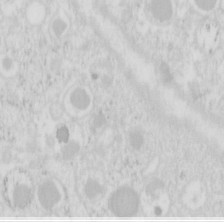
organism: Mouse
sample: Pancreas